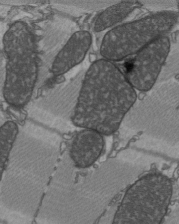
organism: C57BL Mouse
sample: Heart